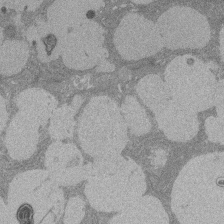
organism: Rat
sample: Salivary granule